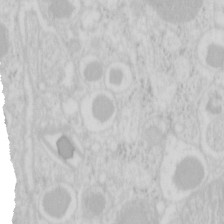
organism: Mouse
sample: Pancreas